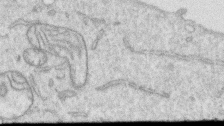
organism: Human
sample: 1205lu cells